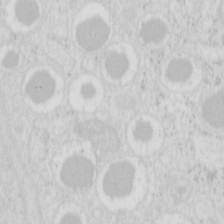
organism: Mouse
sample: Pancreas